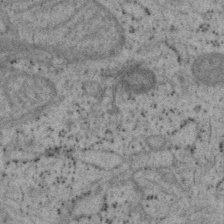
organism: Human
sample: HeLa cells